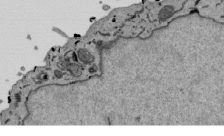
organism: Mouse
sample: ED-1 cell nuclei; centrioles